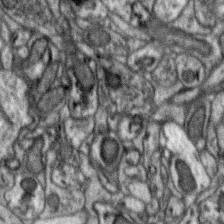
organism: Zebra finch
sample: Brain